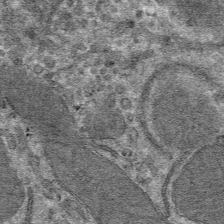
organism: Mouse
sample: Mouse hepatocytes